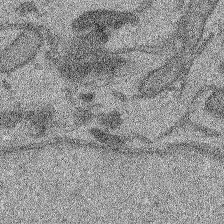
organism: Human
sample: HeLa cells